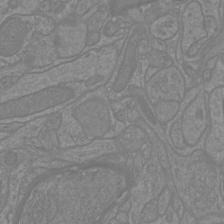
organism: Mouse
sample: Cortical neurons